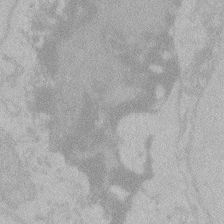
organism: Zebrafish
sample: Macrophage infected with Toxoplasma gondii